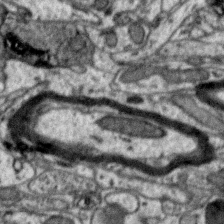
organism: Zebra finch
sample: Brain